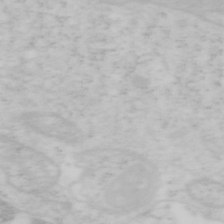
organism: Mouse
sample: OT-I killer T cells with ID8 ovarian cancer cells